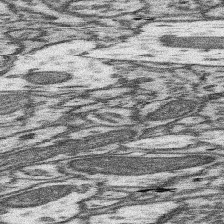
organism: Mouse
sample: Somatosensory cortex neuropil